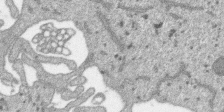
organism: Human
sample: Lung epithelial cells infected with SARS-CoV-2